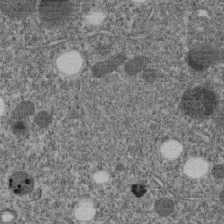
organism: C. elegans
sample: C. elegans embryo early stage